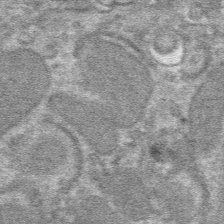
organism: Mouse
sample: Mouse hepatocytes